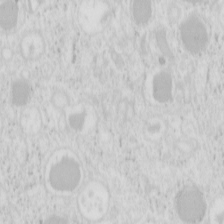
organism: Mouse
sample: Pancreas